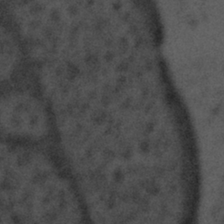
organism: Tuwongella immobilis